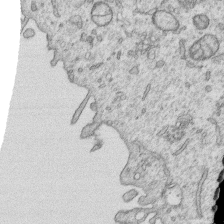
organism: Human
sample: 1205lu cells